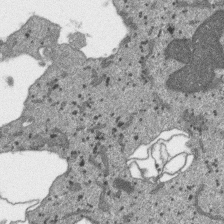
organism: Human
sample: Lung epithelial cells infected with SARS-CoV-2